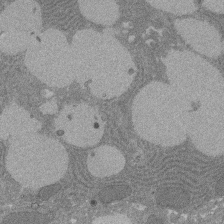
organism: Rat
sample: Salivary granule